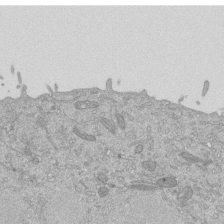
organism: Mouse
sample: ED-1 cell nuclei; centrioles